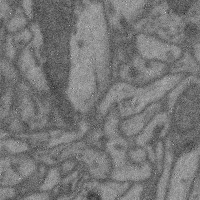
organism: Mouse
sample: Cerebral cortex